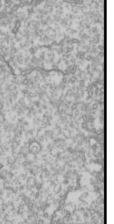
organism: Drosophila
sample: Cell division; meiosis; drosophila spermatocytes